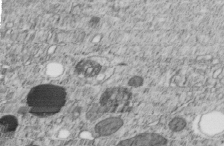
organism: C. elegans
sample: C. elegans embryo early stage